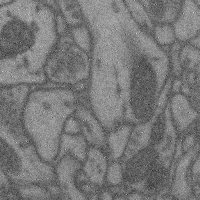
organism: Mouse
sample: Cerebral cortex